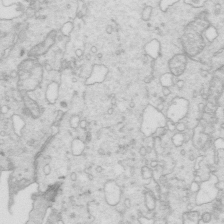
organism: Mouse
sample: Multiciliated cells